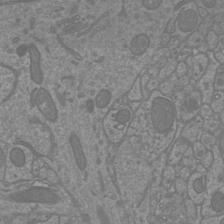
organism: Mouse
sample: Cortical neurons